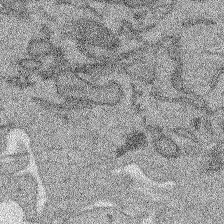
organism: Human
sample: HeLa cells